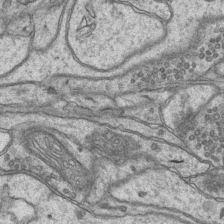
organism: Mouse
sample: CA1 Hippocampus